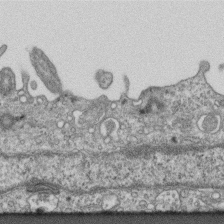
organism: Mouse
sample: Centriole in ependymal cells